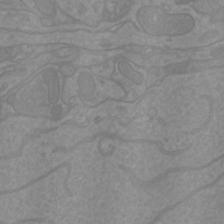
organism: Mouse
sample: Cortical neurons